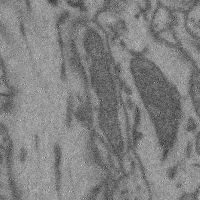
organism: Mouse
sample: Cerebral cortex